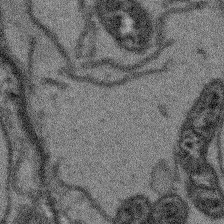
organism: Arabidopsis thaliana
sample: Root tip